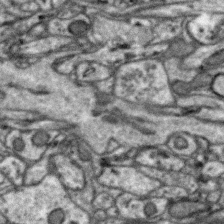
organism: Zebra finch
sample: Brain